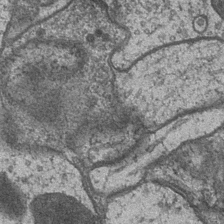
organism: Drosophila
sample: Optic medulla